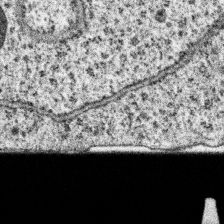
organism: Human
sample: HeLa cells